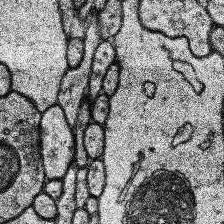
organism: Human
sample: Temporal Lobe